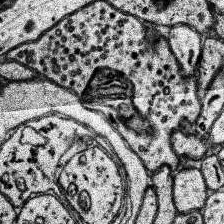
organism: Human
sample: Temporal Lobe